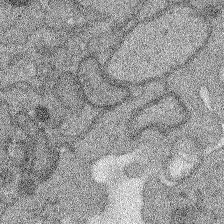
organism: Human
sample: HeLa cells